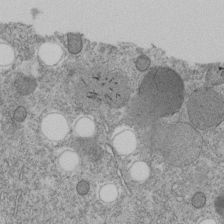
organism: C. elegans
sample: C. elegans embryo early stage